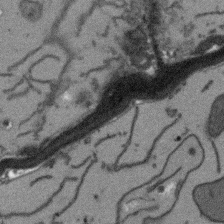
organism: Arabidopsis thaliana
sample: Root tip